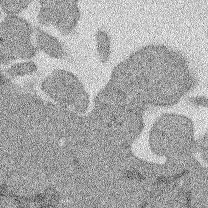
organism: Human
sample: HeLa cells